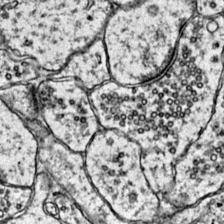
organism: Mouse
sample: Primary visual cortex